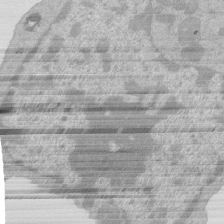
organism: Mouse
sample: Activated Pmel transgenic CD8+ T Cells